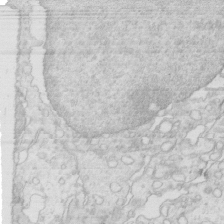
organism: Mouse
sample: Multiciliated cells